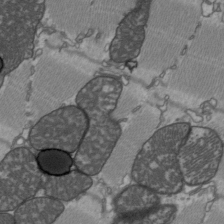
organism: C57BL Mouse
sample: Heart